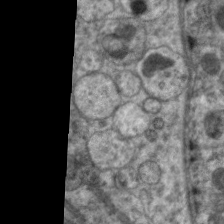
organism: C. elegans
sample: Pharynx